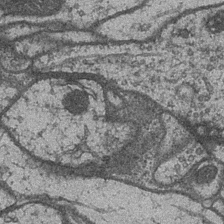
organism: Drosophila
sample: Optic medulla